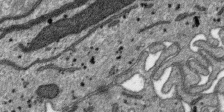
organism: Human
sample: Lung epithelial cells, uninfected (mock) control